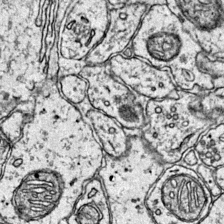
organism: Mouse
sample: Primary visual cortex